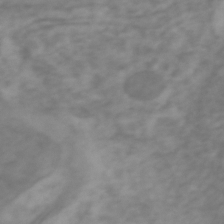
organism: Zebrafish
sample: Zebrafish embryo